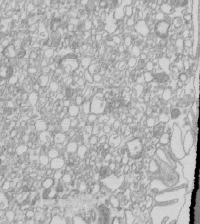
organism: Mouse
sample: Macrophages